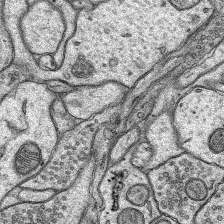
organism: Rat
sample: Hippocampus